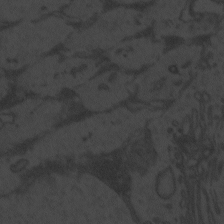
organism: Zebrafish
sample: Macrophage infected with Toxoplasma gondii